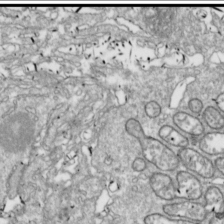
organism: Drosophila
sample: Cell division; meiosis; drosophila spermatocytes